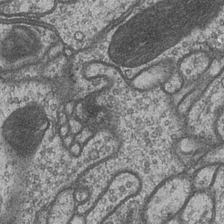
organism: Drosophila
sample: Optic medulla